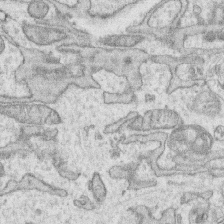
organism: Human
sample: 1205lu cells